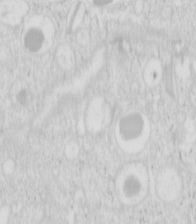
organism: Mouse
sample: Pancreas